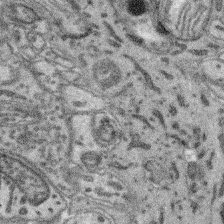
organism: Mouse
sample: Retina